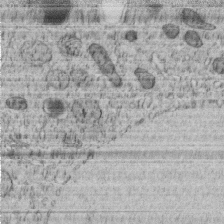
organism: C. elegans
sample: C. elegans embryo early stage